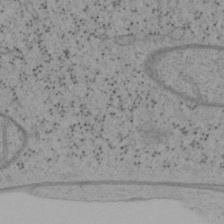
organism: Human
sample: HeLa cells